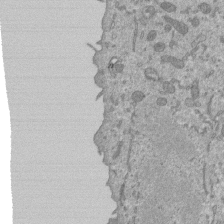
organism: Mouse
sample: ED-1 cell nuclei; centrioles